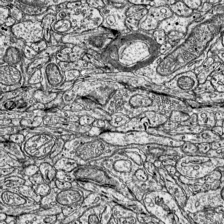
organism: Mouse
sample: Visual Cortex